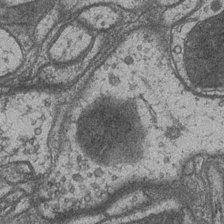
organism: Drosophila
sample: Optic medulla